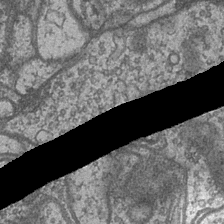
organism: Drosophila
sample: Optic medulla